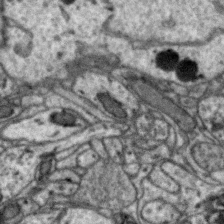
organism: Zebra finch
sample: Brain